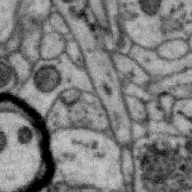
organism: Zebra finch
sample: Brain